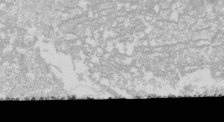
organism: Drosophila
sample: Cell division; meiosis; drosophila spermatocytes